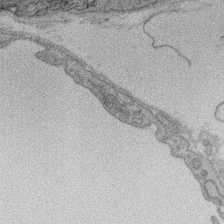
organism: Rat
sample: Salivary granule